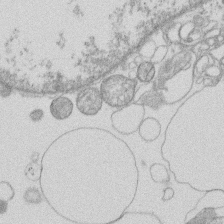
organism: Human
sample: Macrophage cells